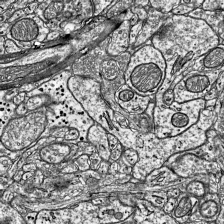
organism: Mouse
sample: Visual Cortex